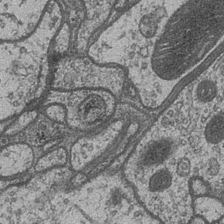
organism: Drosophila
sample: Optic medulla